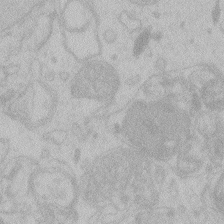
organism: Zebrafish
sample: Macrophage infected with Toxoplasma gondii